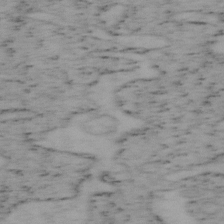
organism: Mouse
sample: OT-I killer T cells with ID8 ovarian cancer cells